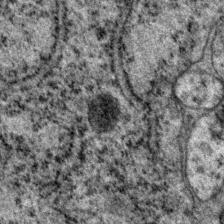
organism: P. pacificus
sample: Pharynx